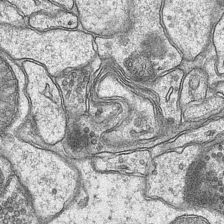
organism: Mouse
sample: CA1 Hippocampus